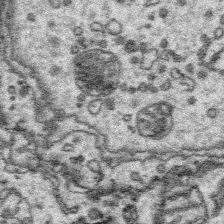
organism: Platynereis dumerilii